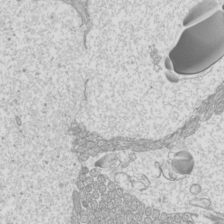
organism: Mouse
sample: Cilia; mouse epididymis